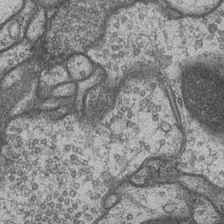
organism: Drosophila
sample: Optic medulla